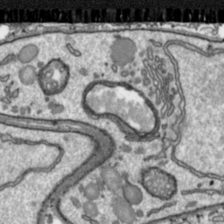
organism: Toxoplasma gondii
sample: Parasites in a vacuole inside a host cell